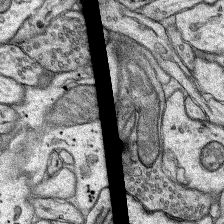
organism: Rat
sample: Hippocampus